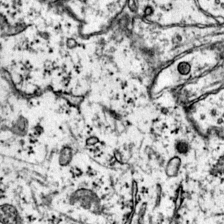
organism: Mouse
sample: Primary visual cortex